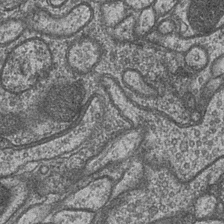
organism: Drosophila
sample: Optic medulla